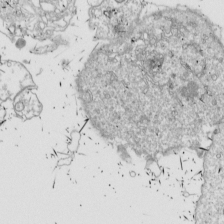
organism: Drosophila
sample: Cell division; meiosis; drosophila spermatocytes